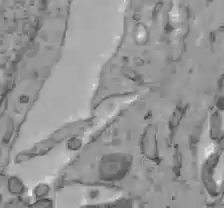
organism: C57BL Mouse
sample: Liver